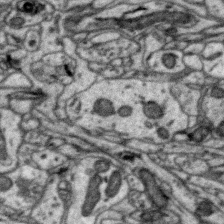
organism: Zebra finch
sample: Brain